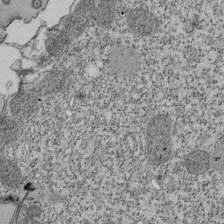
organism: Tetrahymena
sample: Cilia in tetrahymena